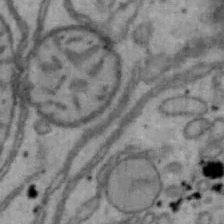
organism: Mouse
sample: Liver